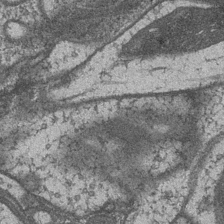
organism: Drosophila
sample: Optic medulla